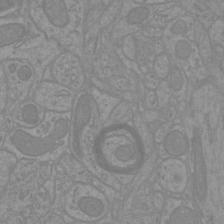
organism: Mouse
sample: Cortical neurons